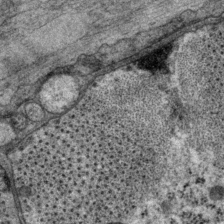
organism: P. pacificus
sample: Pharynx